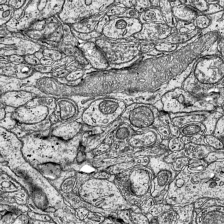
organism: Mouse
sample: Visual Cortex